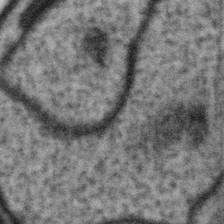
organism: Gemmata obscuriglobus